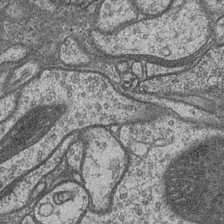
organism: Drosophila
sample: Optic medulla